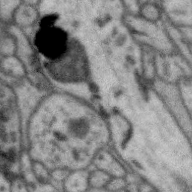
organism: Zebra finch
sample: Brain